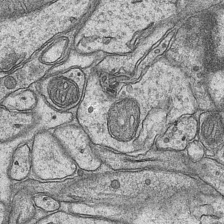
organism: Mouse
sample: CA1 Hippocampus